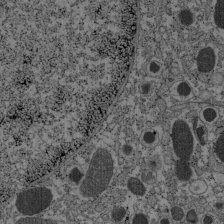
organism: C57BL Mouse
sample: Pancreatic islet